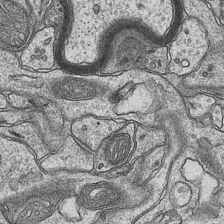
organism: Mouse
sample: CA1 Hippocampus